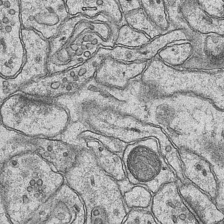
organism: Mouse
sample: CA1 Hippocampus